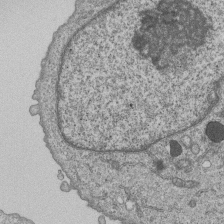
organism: Human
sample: MDA-MB-231 cells